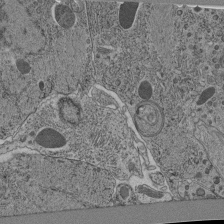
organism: C. elegans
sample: C. elegans pharynx